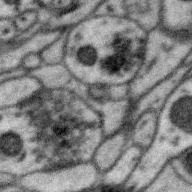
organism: Zebra finch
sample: Brain